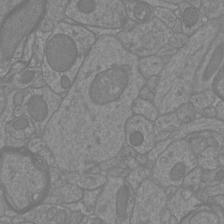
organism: Mouse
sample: Cortical neurons